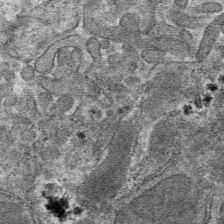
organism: Mouse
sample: Mouse hepatocytes